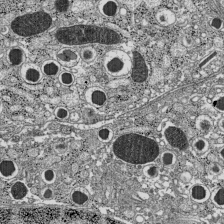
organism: C57BL Mouse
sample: Pancreatic islet